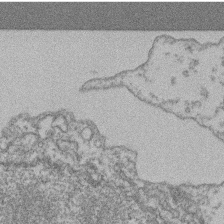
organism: Mouse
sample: T cell stromal cell synapse